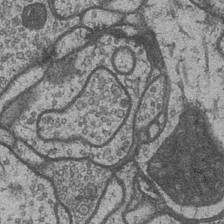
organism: Drosophila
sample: Optic medulla